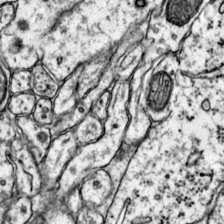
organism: Mouse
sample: Primary visual cortex